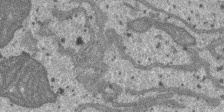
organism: Human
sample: Lung epithelial cells infected with SARS-CoV-2